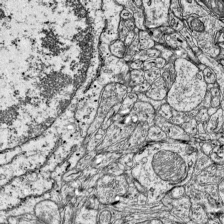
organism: Mouse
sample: Visual Cortex